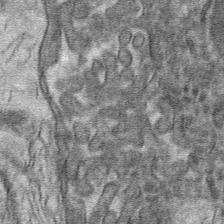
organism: Mouse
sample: Mouse hepatocytes